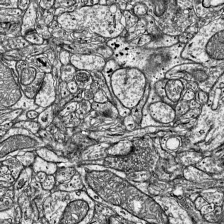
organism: Mouse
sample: Visual Cortex